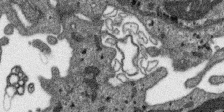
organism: Human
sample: Lung epithelial cells infected with SARS-CoV-2